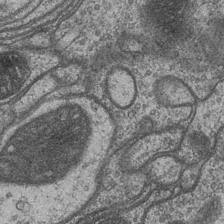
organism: Drosophila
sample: Optic medulla